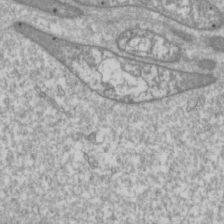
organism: Drosophila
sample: Cell division; meiosis; drosophila spermatocytes